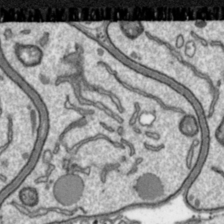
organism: Toxoplasma gondii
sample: Parasites in a vacuole inside a host cell